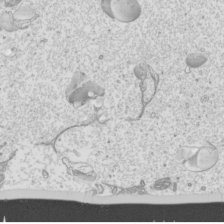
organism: Mouse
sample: Cilia; mouse epididymis